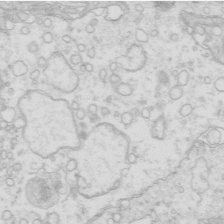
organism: Mouse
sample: Multiciliated cells